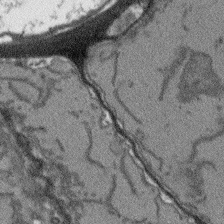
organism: Arabidopsis thaliana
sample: Root tip